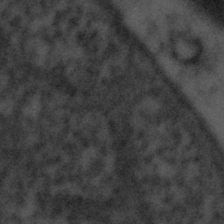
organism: Tuwongella immobilis